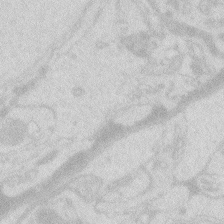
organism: Zebrafish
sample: Macrophage